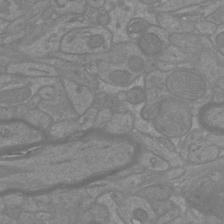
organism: Mouse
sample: Cortical neurons